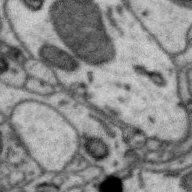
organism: Zebra finch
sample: Brain